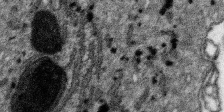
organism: Human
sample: Lung epithelial cells infected with SARS-CoV-2